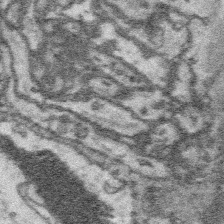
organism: Platynereis dumerilii